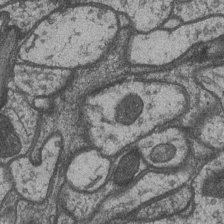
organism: Drosophila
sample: Optic medulla